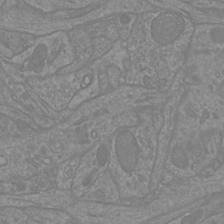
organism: Mouse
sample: Cortical neurons